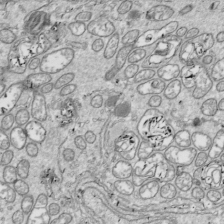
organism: Drosophila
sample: Cell division; meiosis; drosophila spermatocytes